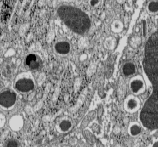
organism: C57BL Mouse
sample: Pancreatic islet